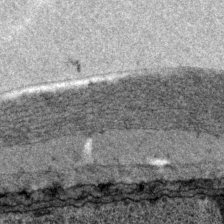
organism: P. pacificus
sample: Pharynx